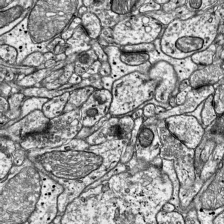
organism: Mouse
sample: Visual Cortex